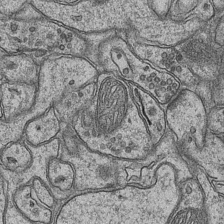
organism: Mouse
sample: CA1 Hippocampus